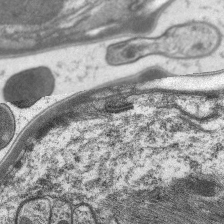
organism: C. elegans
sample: Pharynx